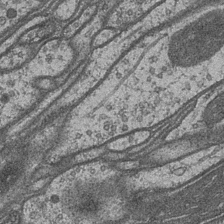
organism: Drosophila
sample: Optic medulla